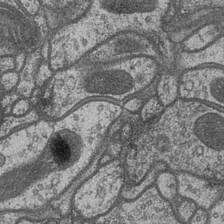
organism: Drosophila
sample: Optic medulla